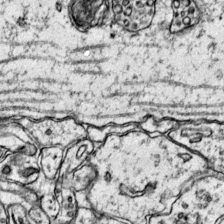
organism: Mouse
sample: Primary visual cortex